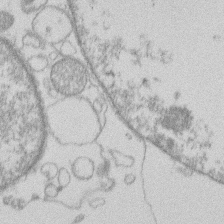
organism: Human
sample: Macrophage cells